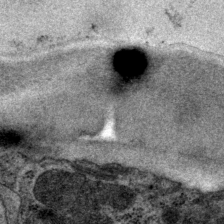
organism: P. pacificus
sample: Pharynx